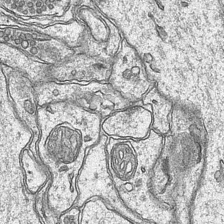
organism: Mouse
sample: CA1 Hippocampus